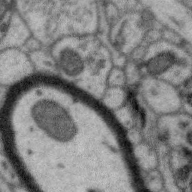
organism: Zebra finch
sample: Brain